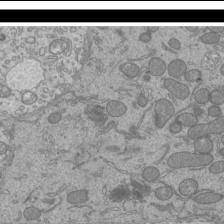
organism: Mouse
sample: Cilia; mouse epididymis